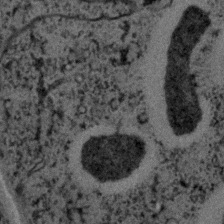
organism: C. elegans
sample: C. elegans embryo